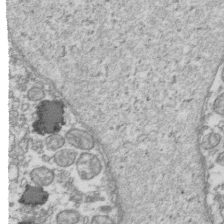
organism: Human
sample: Activated Jurkat CD4+ T cells